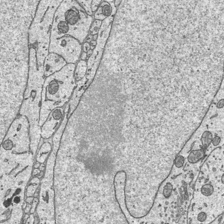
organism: Mouse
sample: Suprachiasmatic nucleus